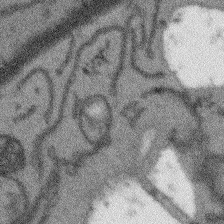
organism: Arabidopsis thaliana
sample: Root tip